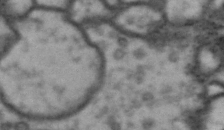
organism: Drosophila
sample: Brain